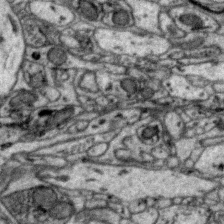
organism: Zebra finch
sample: Brain